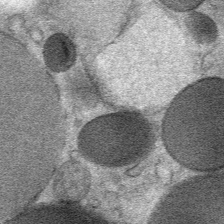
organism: Mouse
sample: Mouse Salivary gland